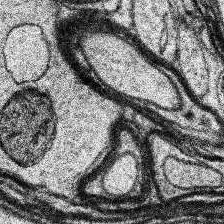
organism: Human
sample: Temporal Lobe